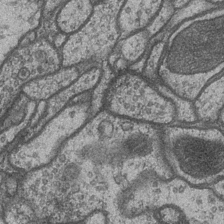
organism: Drosophila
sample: Optic medulla